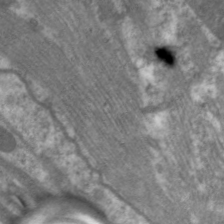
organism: C. elegans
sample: Pharynx